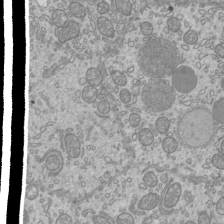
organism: Mouse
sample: Cilia; mouse epididymis